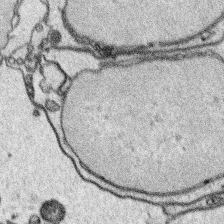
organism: Platynereis dumerilii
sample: Parapodia